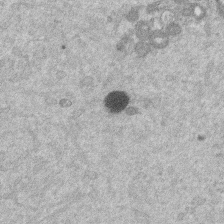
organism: Mouse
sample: Dividing mouse embryo 1 cell stage